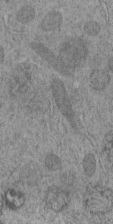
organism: C. elegans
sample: C. elegans embryo early stage